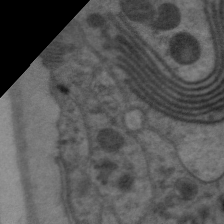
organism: C. elegans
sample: Pharynx